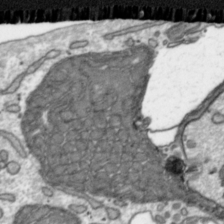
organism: Toxoplasma gondii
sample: Parasites in a vacuole inside a host cell